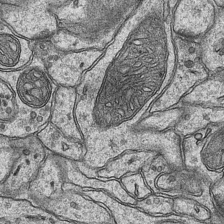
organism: Mouse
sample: CA1 Hippocampus